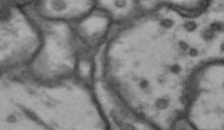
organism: Drosophila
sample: Brain